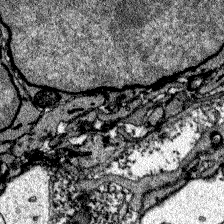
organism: Zebrafish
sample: Larval olfactory bulb